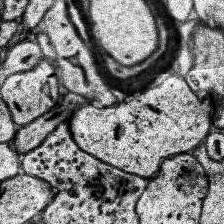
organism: Human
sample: Temporal Lobe